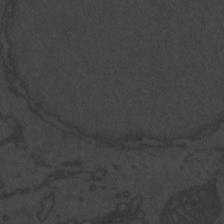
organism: Zebrafish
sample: Macrophage infected with Toxoplasma gondii